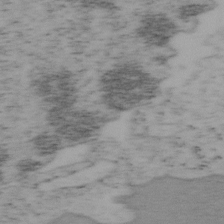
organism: Mouse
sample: OT-I killer T cells with ID8 ovarian cancer cells